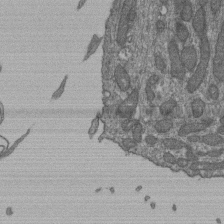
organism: Human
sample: Retinal organoid Rod and Cone cells